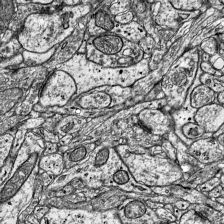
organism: Mouse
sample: Visual Cortex